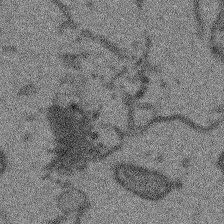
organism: Arabidopsis thaliana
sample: Root tip